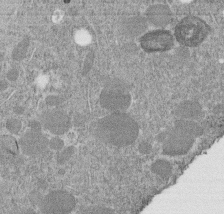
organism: C. elegans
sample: C. elegans embryo early stage